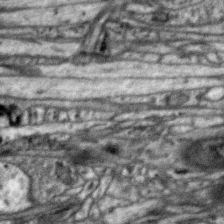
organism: Zebra finch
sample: Brain